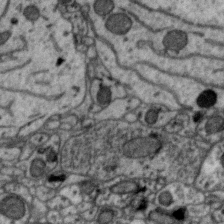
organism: Zebra finch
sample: Brain